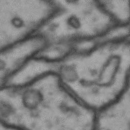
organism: Drosophila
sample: Brain